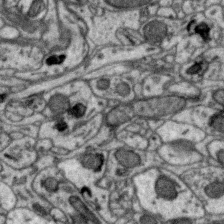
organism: Zebra finch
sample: Brain